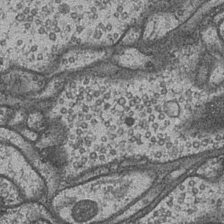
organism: Drosophila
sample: Optic medulla